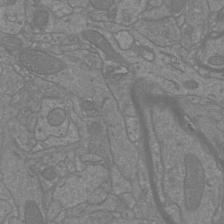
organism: Mouse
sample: Cortical neurons